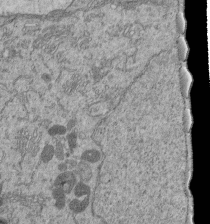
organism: Human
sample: Retinal organoid Rod and Cone cells